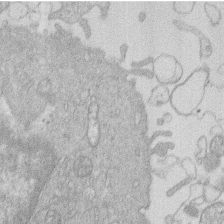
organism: Human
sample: Macrophage cells